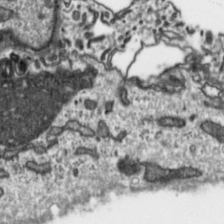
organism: Toxoplasma gondii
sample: Parasites in a vacuole inside a host cell